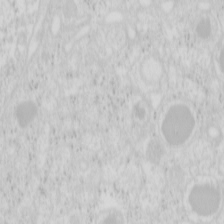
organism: Mouse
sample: Pancreas